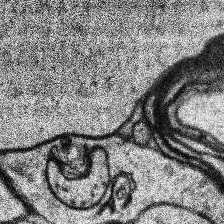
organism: Human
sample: Temporal Lobe